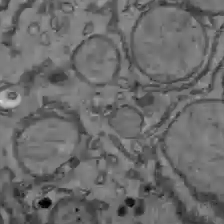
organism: C57BL Mouse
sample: Liver